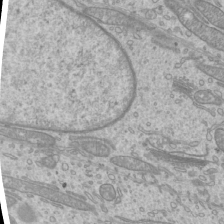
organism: Mouse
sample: Cilia; mouse epididymis